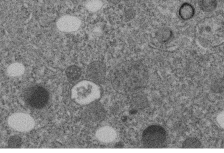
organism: C. elegans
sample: C. elegans embryo early stage